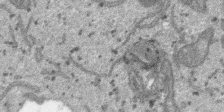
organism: Human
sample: Lung epithelial cells infected with SARS-CoV-2